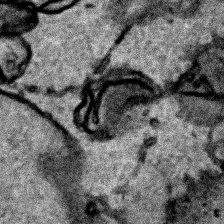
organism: Human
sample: Mitochondria in HCT116 cells